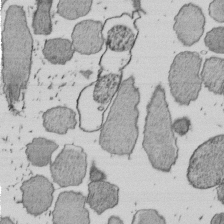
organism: E. coli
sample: Bacterial nucleoid